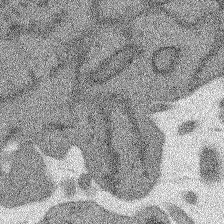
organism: Human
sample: HeLa cells